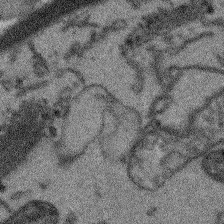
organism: Arabidopsis thaliana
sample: Root tip